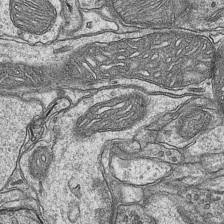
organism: Mouse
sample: CA1 Hippocampus